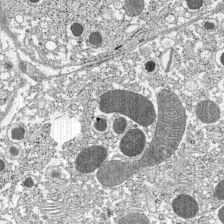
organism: C57BL Mouse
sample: Pancreatic islet